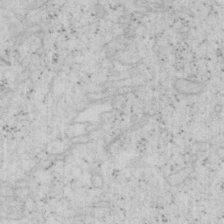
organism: Human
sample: HeLa cells